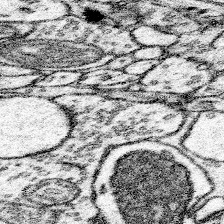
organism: Mouse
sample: Somatosensory cortex neuropil